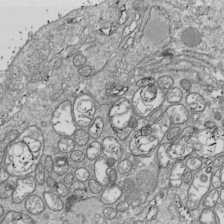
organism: Drosophila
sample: Cell division; meiosis; drosophila spermatocytes